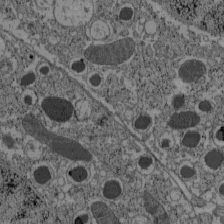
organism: C57BL Mouse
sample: Pancreatic islet